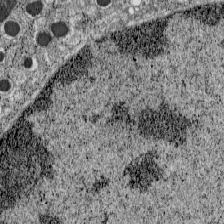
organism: C57BL Mouse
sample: Pancreatic islet